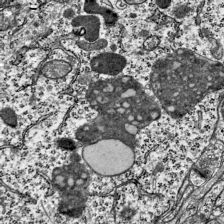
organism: Mouse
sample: Visual Cortex